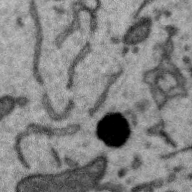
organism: Zebra finch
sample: Brain